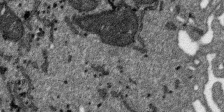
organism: Human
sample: Lung epithelial cells infected with SARS-CoV-2